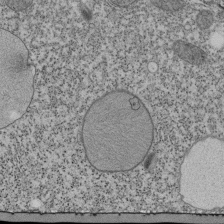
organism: Tetrahymena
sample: Cilia in tetrahymena